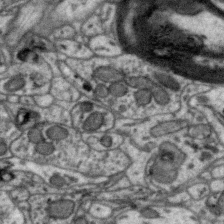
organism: Zebra finch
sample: Brain